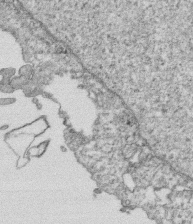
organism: Human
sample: HeLa cell HIV synapse